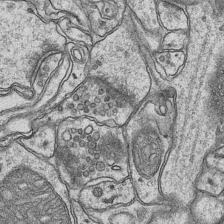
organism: Mouse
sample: CA1 Hippocampus